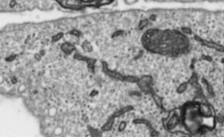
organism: Toxoplasma gondii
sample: Parasites in a vacuole inside a host cell